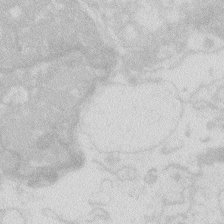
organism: Zebrafish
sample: Macrophage